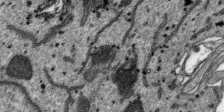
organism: Human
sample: Lung epithelial cells, uninfected (mock) control